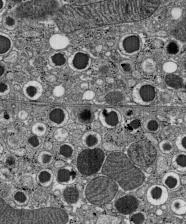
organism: C57BL Mouse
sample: Pancreatic islet